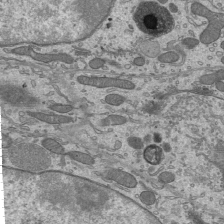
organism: Mouse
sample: Mouse epididymis efferent ductule cilia